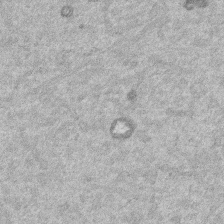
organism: Mouse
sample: Dividing mouse embryo 1 cell stage